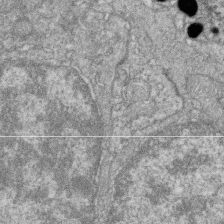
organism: Zebrafish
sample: Cilia; retinal pigment epithelium